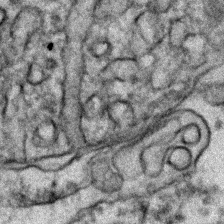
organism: Zebrafish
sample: Zebrafish embryo